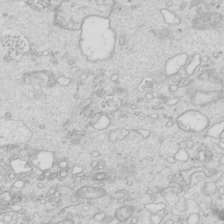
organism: Mouse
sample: Multiciliated cells